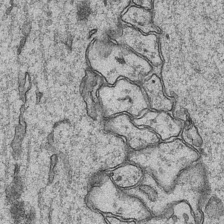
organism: Mouse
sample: CA1 Hippocampus